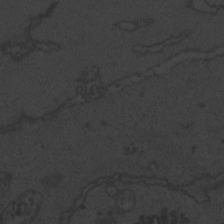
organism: Zebrafish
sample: Macrophage infected with Toxoplasma gondii